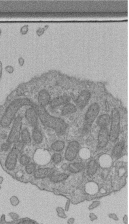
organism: Human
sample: Retinal organoid Rod and Cone cells